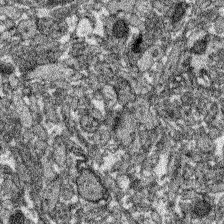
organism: Zebrafish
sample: Larval olfactory bulb